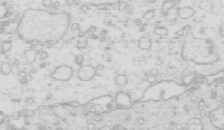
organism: Mouse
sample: Multiciliated cells